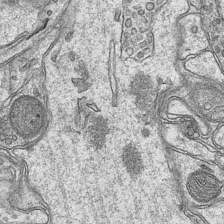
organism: Mouse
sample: CA1 Hippocampus